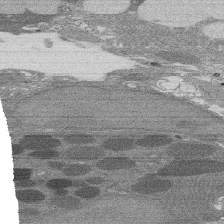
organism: Rat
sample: Salivary granule